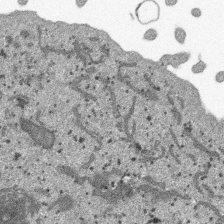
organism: Human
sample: Lung epithelial cells infected with SARS-CoV-2